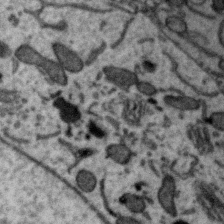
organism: Zebra finch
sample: Brain